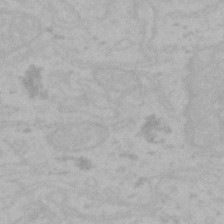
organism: Mouse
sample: Choroid plexus